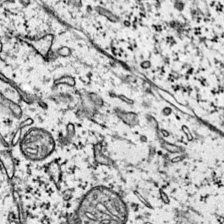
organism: Mouse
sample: Primary visual cortex